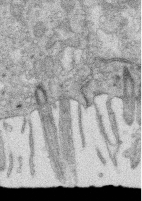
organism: Mouse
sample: Multiciliated cells